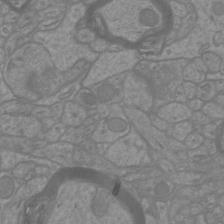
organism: Mouse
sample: Cortical neurons